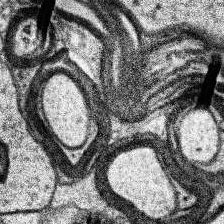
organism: Human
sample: Temporal Lobe